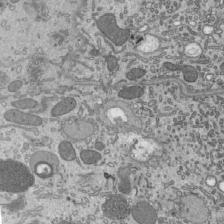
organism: Mouse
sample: Mouse epididymis efferent ductule cilia